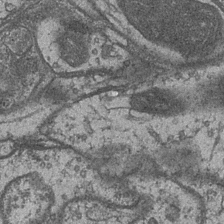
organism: Drosophila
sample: Optic medulla